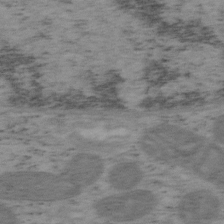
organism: Mouse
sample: OT-I killer T cells with ID8 ovarian cancer cells